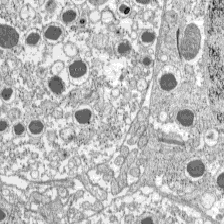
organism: C57BL Mouse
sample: Pancreatic islet